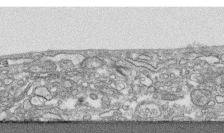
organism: Human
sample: CRL-1474